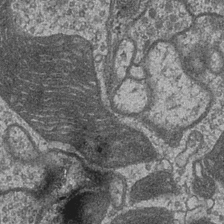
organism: Drosophila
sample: Optic medulla